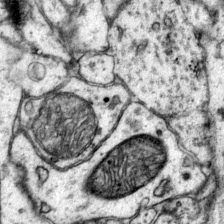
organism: Mouse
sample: Primary visual cortex